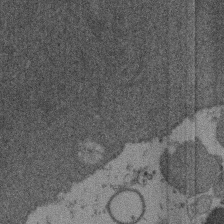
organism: Mouse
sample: Dividing mouse embryo 1 cell stage